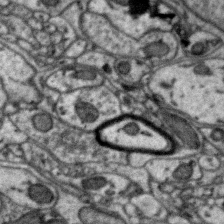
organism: Zebra finch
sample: Brain